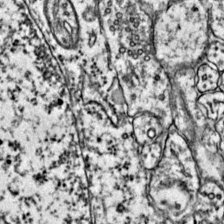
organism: Mouse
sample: Primary visual cortex